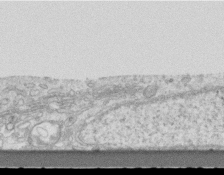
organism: Mouse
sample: Centriole in ependymal cells